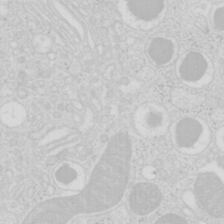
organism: Mouse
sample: Pancreas